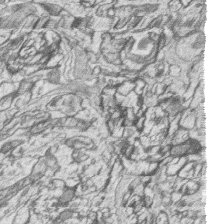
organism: Zebrafish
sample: synaptic ribbons in rod cells and cone cells